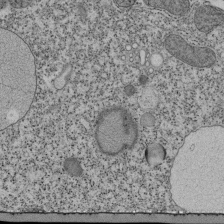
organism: Tetrahymena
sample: Cilia in tetrahymena